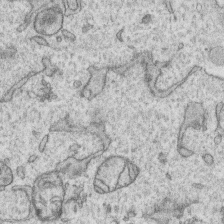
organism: Human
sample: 1205lu cells